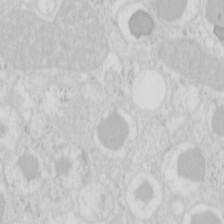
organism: Mouse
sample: Pancreas